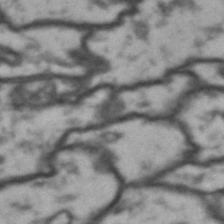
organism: Drosophila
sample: Brain